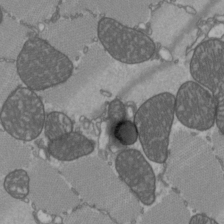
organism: C57BL Mouse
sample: Heart